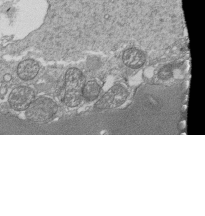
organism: Tetrahymena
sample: Cilia in tetrahymena